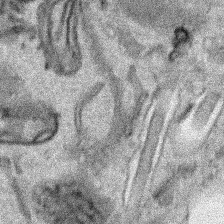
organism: Human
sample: Mitochondria in HCT116 cells